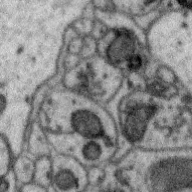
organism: Zebra finch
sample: Brain